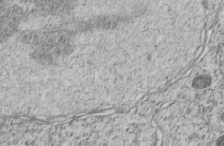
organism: C. elegans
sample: C. elegans embryo early stage